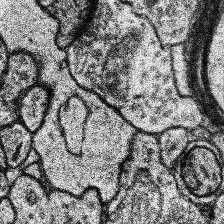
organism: Human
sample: Temporal Lobe